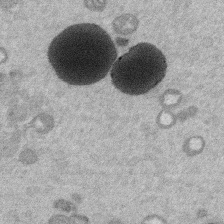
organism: Mouse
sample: Dividing mouse embryo 1 cell stage